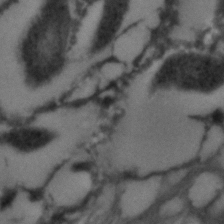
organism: C. elegans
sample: C. elegans embryo